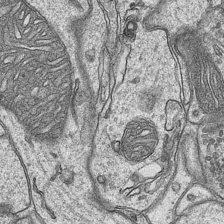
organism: Mouse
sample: CA1 Hippocampus